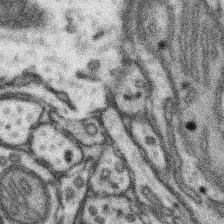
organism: Mouse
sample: Somatosensory cortex neuropil